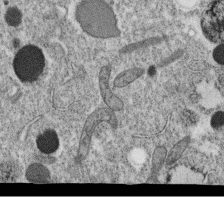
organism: C. elegans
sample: C. elegans oocyte; sperm cells